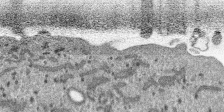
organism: Human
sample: Lung epithelial cells infected with SARS-CoV-2